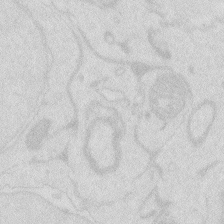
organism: Zebrafish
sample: Macrophage